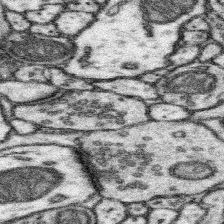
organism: Mouse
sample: Somatosensory cortex neuropil